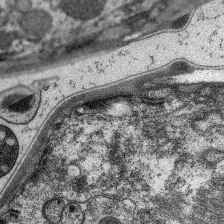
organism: C. elegans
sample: Pharynx